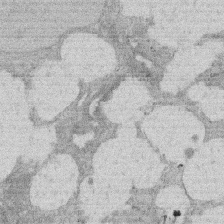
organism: Rat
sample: Salivary granule